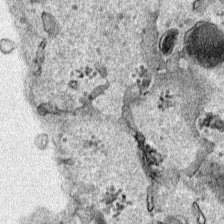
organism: Human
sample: Mitochondria in HCT116 cells